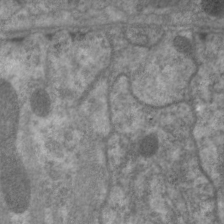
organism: C. elegans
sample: Pharynx